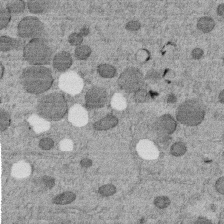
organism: C. elegans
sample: C. elegans embryo early stage